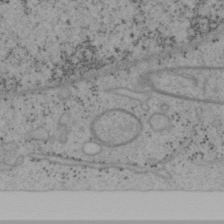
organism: Human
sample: HeLa cells